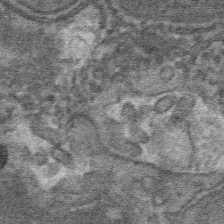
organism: Mouse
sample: Mouse hepatocytes